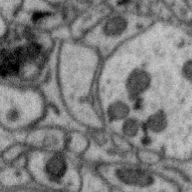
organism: Zebra finch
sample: Brain